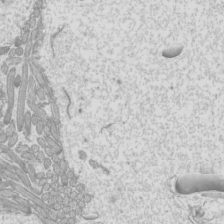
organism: Mouse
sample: Cilia; mouse epididymis